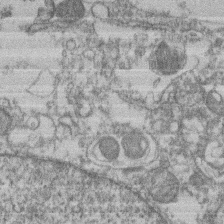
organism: Mouse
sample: T cell stromal cell synapse